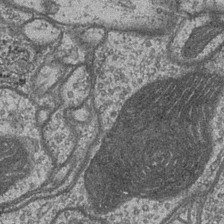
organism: Drosophila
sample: Optic medulla